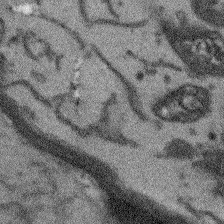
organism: Arabidopsis thaliana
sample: Root tip